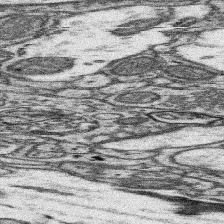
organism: Mouse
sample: Somatosensory cortex neuropil